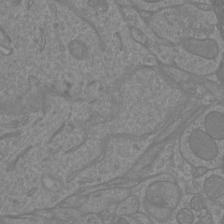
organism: Mouse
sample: Cortical neurons